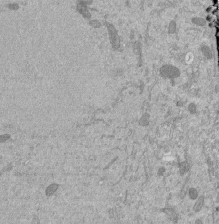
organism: Mouse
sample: ED-1 cell nuclei; centrioles